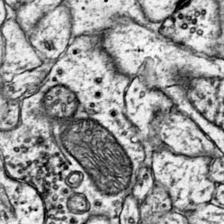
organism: Mouse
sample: Primary visual cortex